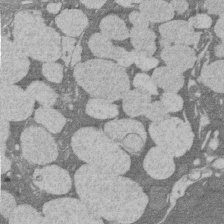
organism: Rat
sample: Salivary granule